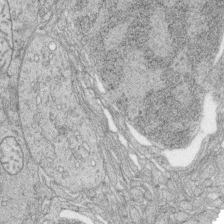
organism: Zebrafish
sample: synaptic ribbons in rod cells and cone cells